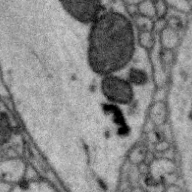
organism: Zebra finch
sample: Brain